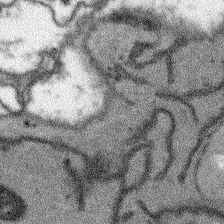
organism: Arabidopsis thaliana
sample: Root tip